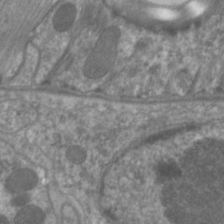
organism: C. elegans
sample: Pharynx